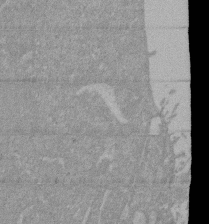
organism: Mouse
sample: ED-1 cell nuclei; centrioles